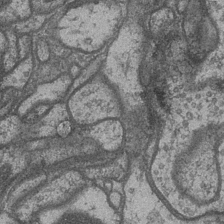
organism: Drosophila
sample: Optic medulla